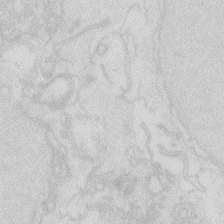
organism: Zebrafish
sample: Macrophage